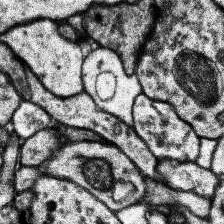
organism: Human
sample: Temporal Lobe